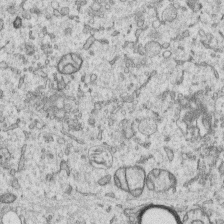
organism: Human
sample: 1205lu cells